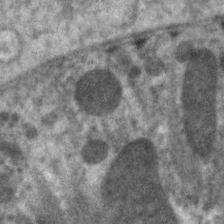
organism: C. elegans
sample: Pharynx